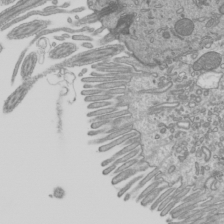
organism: Mouse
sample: Cilia; mouse epididymis